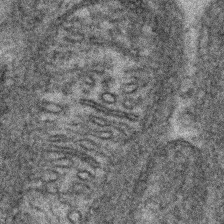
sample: Kidney